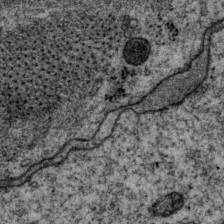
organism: P. pacificus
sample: Pharynx